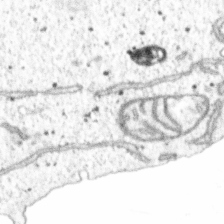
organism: Human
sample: HeLa cells